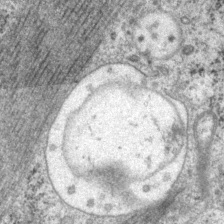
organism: P. pacificus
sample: Pharynx